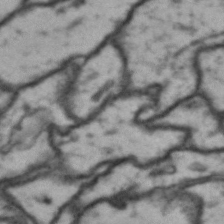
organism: Drosophila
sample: Brain